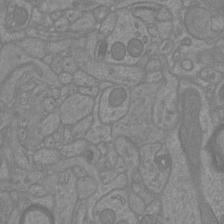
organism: Mouse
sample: Cortical neurons